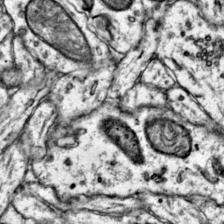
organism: Mouse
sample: Primary visual cortex